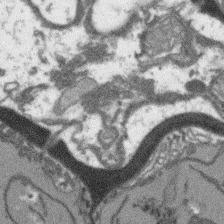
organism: Arabidopsis thaliana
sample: Root tip